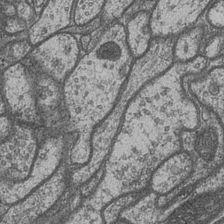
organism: Drosophila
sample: Optic medulla